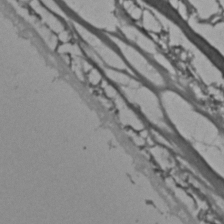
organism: C. elegans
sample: C. elegans embryo